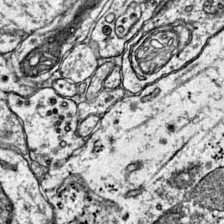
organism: Mouse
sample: Primary visual cortex